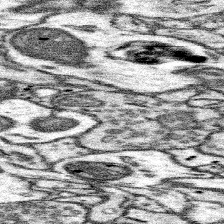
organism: Mouse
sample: Somatosensory cortex neuropil